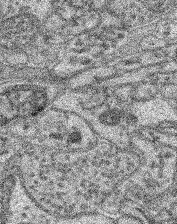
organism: Mouse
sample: Retina